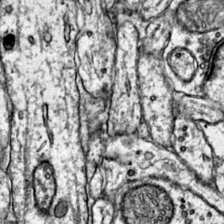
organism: Mouse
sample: Primary visual cortex